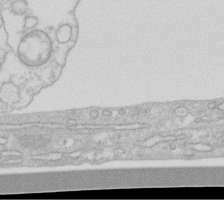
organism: Human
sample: Fibroblast cells